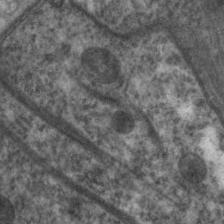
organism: C. elegans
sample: Pharynx